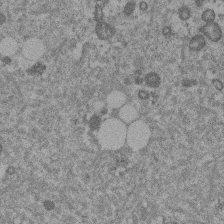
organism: Mouse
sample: Dividing mouse embryo 1 cell stage